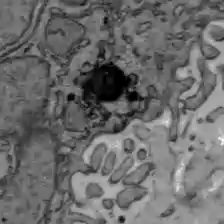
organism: C57BL Mouse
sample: Liver